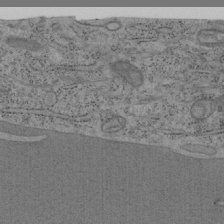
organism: Human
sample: HeLa cells